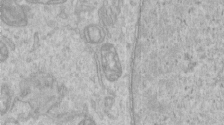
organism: Human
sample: Centriole in RPE cells